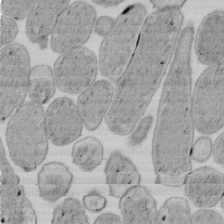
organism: E. coli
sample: Bacterial nucleoid